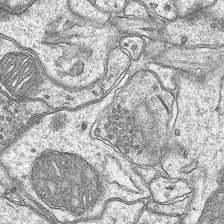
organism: Mouse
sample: CA1 Hippocampus